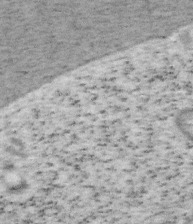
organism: Mouse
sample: OT-I killer T cells with ID8 ovarian cancer cells